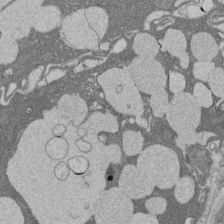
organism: Rat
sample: Salivary granule